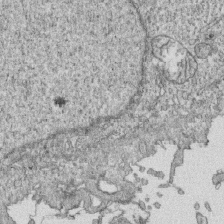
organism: Human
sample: HeLa cell HIV synapse